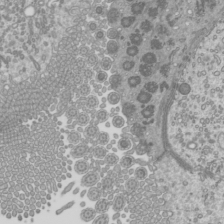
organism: Mouse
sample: Cilia; mouse epididymis